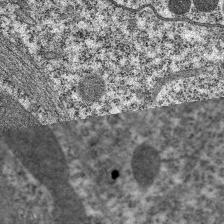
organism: C. elegans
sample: Pharynx